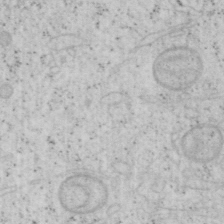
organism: Human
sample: HeLa cells